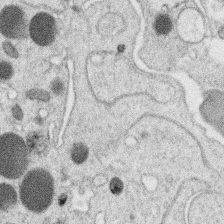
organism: C. elegans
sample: C. elegans oocyte; sperm cells